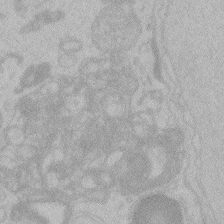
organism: Zebrafish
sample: Macrophage infected with Toxoplasma gondii